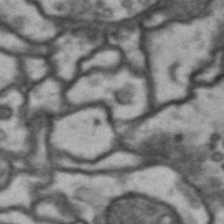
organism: Drosophila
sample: Brain